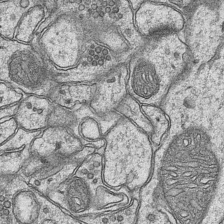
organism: Mouse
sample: CA1 Hippocampus